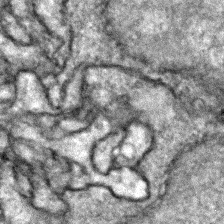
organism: Zebrafish